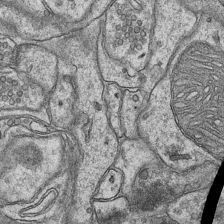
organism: Mouse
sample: CA1 Hippocampus